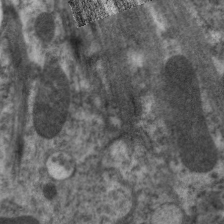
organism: C. elegans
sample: Pharynx